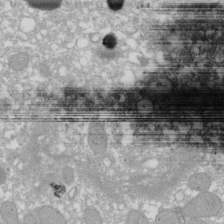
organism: Xenopus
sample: Cilia; centrioles in frog embryo cells